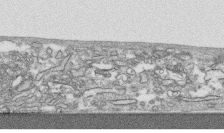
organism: Human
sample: CRL-1474